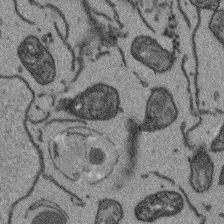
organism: Arabidopsis thaliana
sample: Root tip